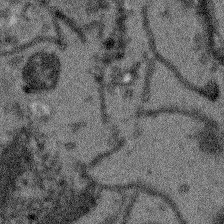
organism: Arabidopsis thaliana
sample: Root tip